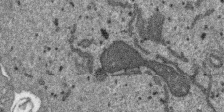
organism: Human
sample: Lung epithelial cells infected with SARS-CoV-2